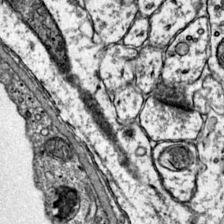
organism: Mouse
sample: Primary visual cortex